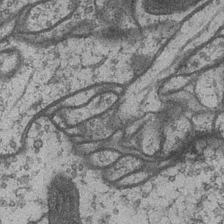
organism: Drosophila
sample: Optic medulla